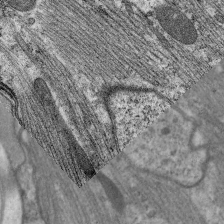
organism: C. elegans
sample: Pharynx